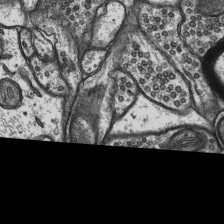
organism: Rat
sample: Hippocampus